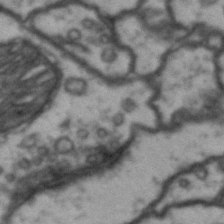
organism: Drosophila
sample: Brain